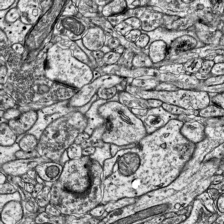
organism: Mouse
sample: Visual Cortex